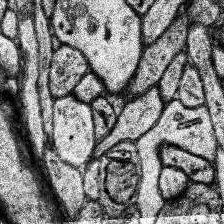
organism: Human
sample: Temporal Lobe